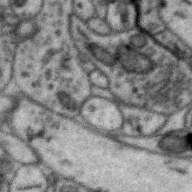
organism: Zebra finch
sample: Brain